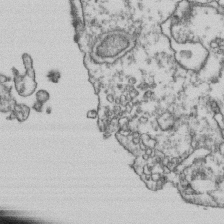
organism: Human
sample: Activated Jurkat CD4+ T cells